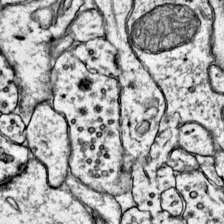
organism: Mouse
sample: Primary visual cortex